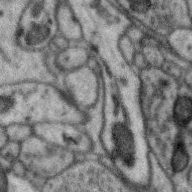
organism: Zebra finch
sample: Brain